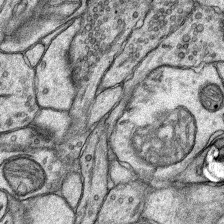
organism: Rat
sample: Hippocampus